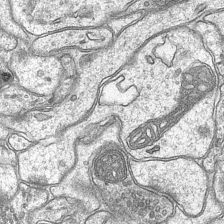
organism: Mouse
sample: CA1 Hippocampus